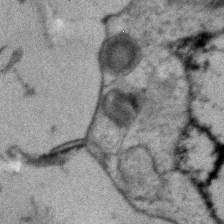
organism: Human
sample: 1205lu cells